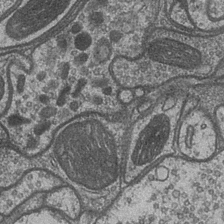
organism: Drosophila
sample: Optic medulla